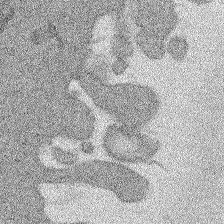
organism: Human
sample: HeLa cells